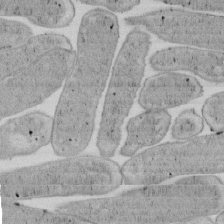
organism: E. coli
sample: Bacterial nucleoid